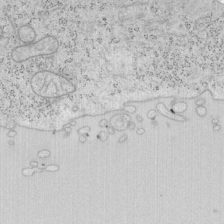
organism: Mouse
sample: OT-I killer T cells with ID8 ovarian cancer cells